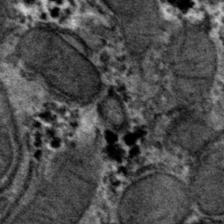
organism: Mouse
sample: Mouse hepatocytes